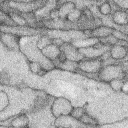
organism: Rabbit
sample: Retina